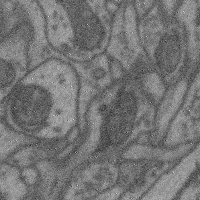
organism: Mouse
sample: Cerebral cortex